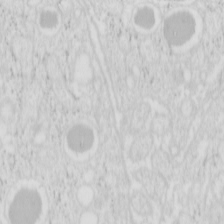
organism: Mouse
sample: Pancreas